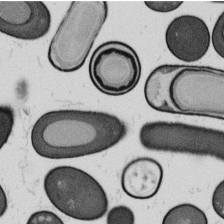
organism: B. subtilis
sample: Bacterial spore